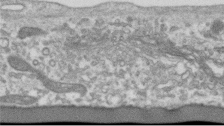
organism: Human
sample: Centriole in RPE cells